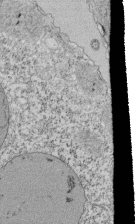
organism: Tetrahymena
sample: Cilia in tetrahymena